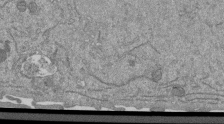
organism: Mouse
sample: ED-1 cell nuclei; centrioles